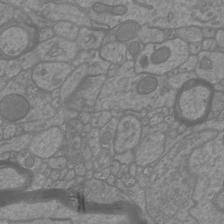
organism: Mouse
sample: Cortical neurons